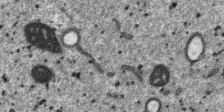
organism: Human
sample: Lung epithelial cells infected with SARS-CoV-2